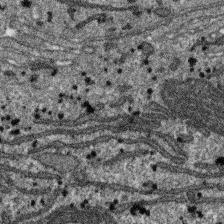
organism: Human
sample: Lung epithelial cells infected with SARS-CoV-2